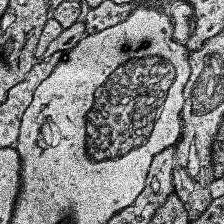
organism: Human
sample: Temporal Lobe